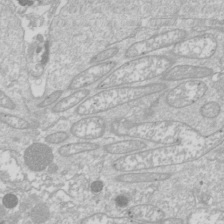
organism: Drosophila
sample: Cell division; meiosis; drosophila spermatocytes